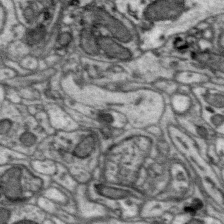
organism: Zebra finch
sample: Brain